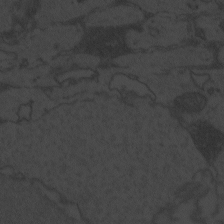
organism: Zebrafish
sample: Macrophage infected with Toxoplasma gondii